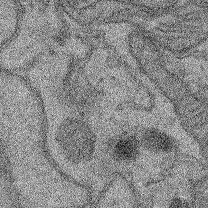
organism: Human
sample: HeLa cells